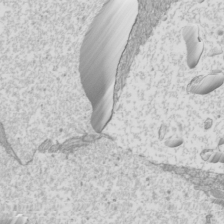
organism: Mouse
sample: Cilia; mouse epididymis